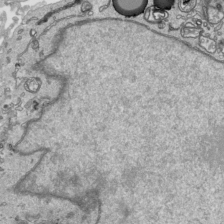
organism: Human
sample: Mitochondria in HCT116 cells